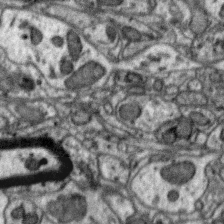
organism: Zebra finch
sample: Brain